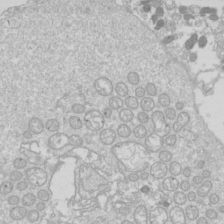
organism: Drosophila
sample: Cell division; meiosis; drosophila spermatocytes